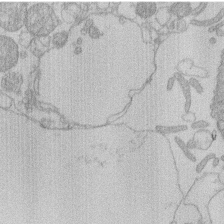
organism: Human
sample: Macrophage cells